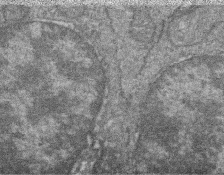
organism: Zebrafish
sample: Cilia; retinal pigment epithelium